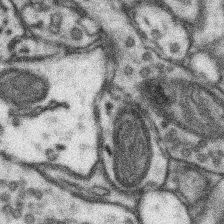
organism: Mouse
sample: Somatosensory cortex neuropil